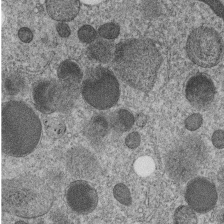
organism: C. elegans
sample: C. elegans embryo early stage